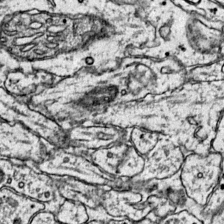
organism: Mouse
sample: Primary visual cortex